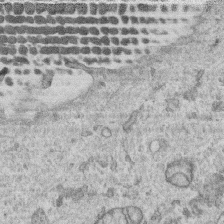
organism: Human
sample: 1205lu cells